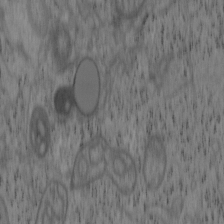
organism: Human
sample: HeLa cells